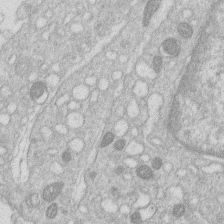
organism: Human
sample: Macrophage cells